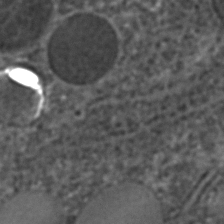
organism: C. elegans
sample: C. elegans embryo